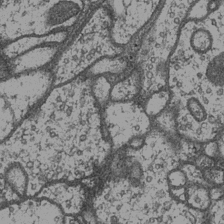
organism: Drosophila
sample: Optic medulla